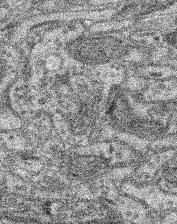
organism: Mouse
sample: Retina